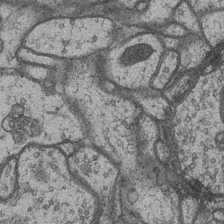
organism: Drosophila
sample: Optic medulla